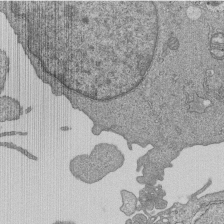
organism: Human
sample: MDA-MB-231 cells